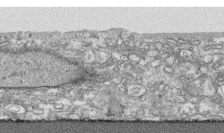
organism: Human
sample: CRL-1474